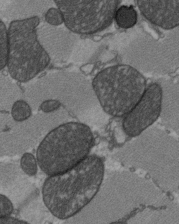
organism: C57BL Mouse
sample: Heart